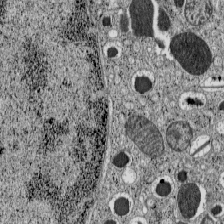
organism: C57BL Mouse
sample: Pancreatic islet